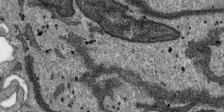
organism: Human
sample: Lung epithelial cells, uninfected (mock) control